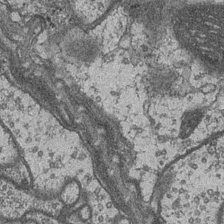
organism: Drosophila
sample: Optic medulla